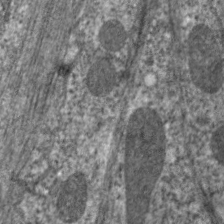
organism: C. elegans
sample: Pharynx